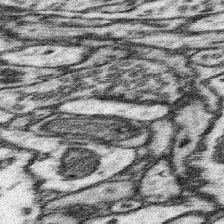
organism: Mouse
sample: Somatosensory cortex neuropil